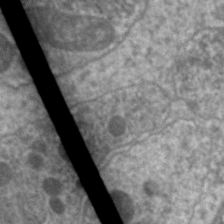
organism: C. elegans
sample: Pharynx